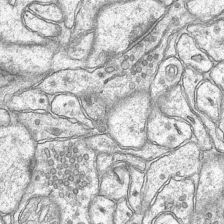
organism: Mouse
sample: CA1 Hippocampus